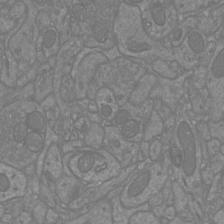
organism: Mouse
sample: Cortical neurons